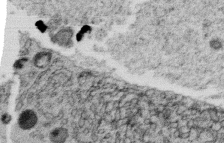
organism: C. elegans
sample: C. elegans oocyte; sperm cells